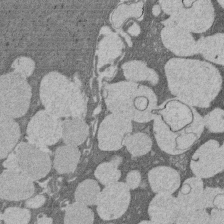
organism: Rat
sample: Salivary granule